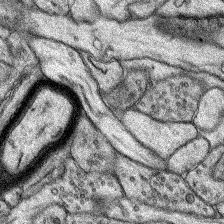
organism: Rat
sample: Hippocampus